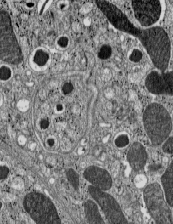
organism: C57BL Mouse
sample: Pancreatic islet